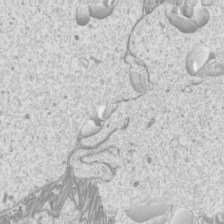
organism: Mouse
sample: Cilia; mouse epididymis